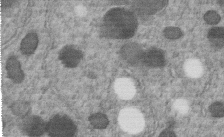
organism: C. elegans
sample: C. elegans embryo early stage